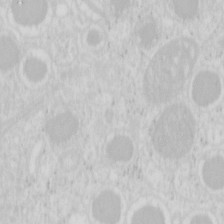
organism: Mouse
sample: Pancreas